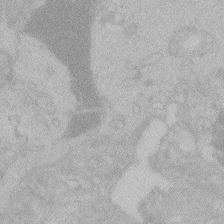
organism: Zebrafish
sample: Macrophage infected with Toxoplasma gondii